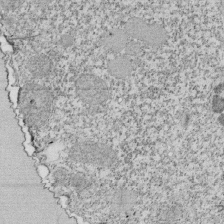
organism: Tetrahymena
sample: Cilia in tetrahymena